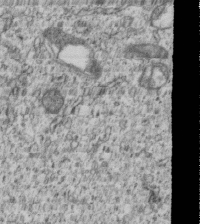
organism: Human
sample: MDA-MB-231 cells